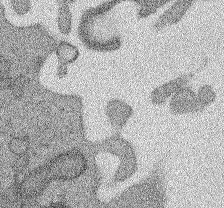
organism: Human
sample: HeLa cells